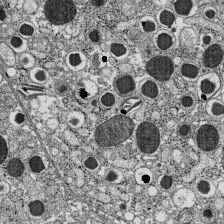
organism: C57BL Mouse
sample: Pancreatic islet